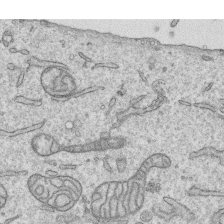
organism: Human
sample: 1205lu cells